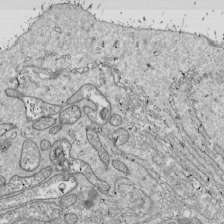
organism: Drosophila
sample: Cell division; meiosis; drosophila spermatocytes